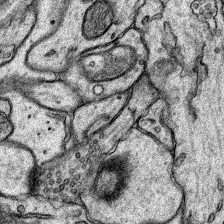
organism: Rat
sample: Hippocampus